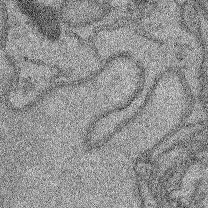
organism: Human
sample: HeLa cells